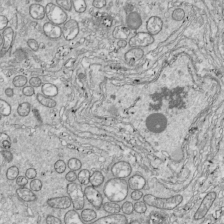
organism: Drosophila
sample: Cell division; meiosis; drosophila spermatocytes